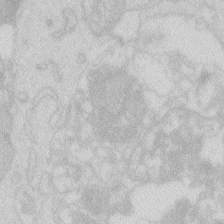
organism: Zebrafish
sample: Macrophage